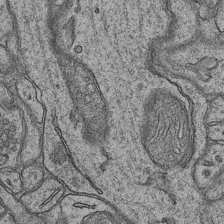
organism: Mouse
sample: CA1 Hippocampus